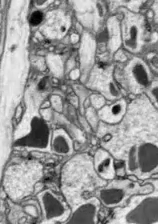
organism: Drosophila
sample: Optic lobe